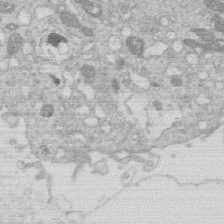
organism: Human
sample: Macrophage cells